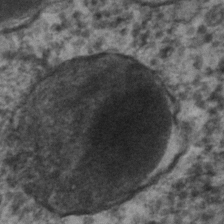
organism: C. elegans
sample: C. elegans embryo